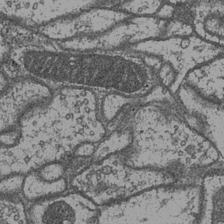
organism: Drosophila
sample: Optic medulla